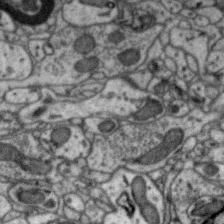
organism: Zebra finch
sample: Brain